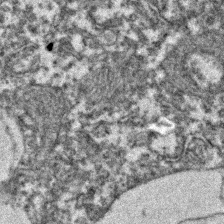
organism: Zebrafish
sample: Zebrafish embryo